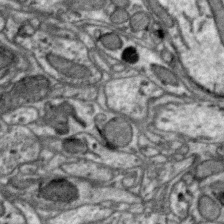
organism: Zebra finch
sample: Brain